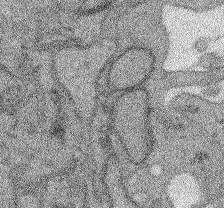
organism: Human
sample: HeLa cells